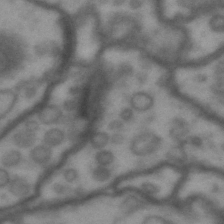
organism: Drosophila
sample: Brain